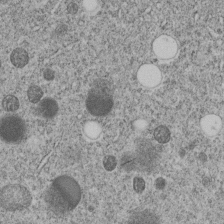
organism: C. elegans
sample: C. elegans embryo early stage